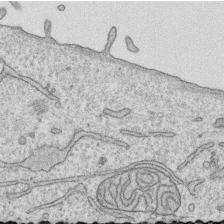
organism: Human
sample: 1205lu cells